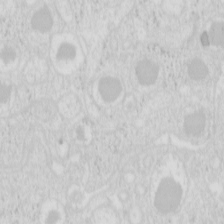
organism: Mouse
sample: Pancreas